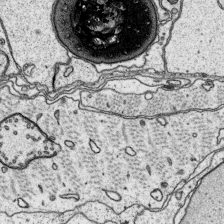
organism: Platynereis dumerilii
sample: Parapodia